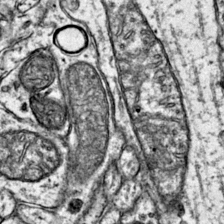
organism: Mouse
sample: Primary visual cortex